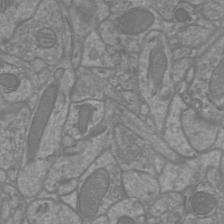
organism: Mouse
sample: Cortical neurons